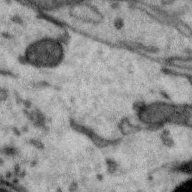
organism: Zebra finch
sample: Brain